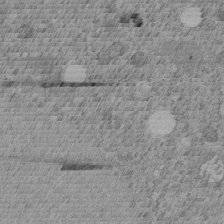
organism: C. elegans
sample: C. elegans embryo early stage